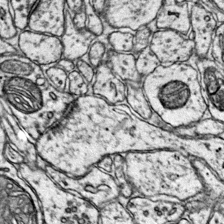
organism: Mouse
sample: Primary visual cortex